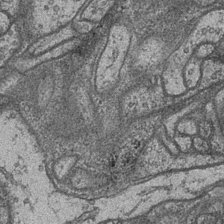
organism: Drosophila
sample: Optic medulla